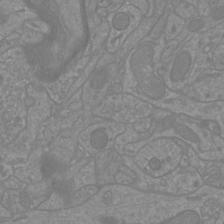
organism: Mouse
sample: Cortical neurons